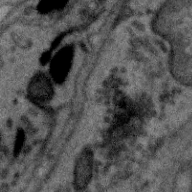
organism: Zebra finch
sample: Brain